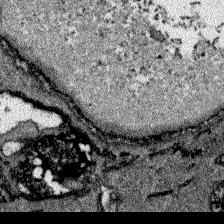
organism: Zebrafish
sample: Larval olfactory bulb